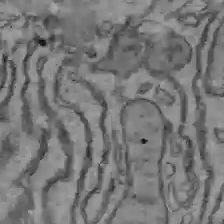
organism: C57BL Mouse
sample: Liver